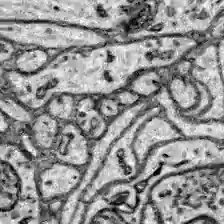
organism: Zebrafish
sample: Brain